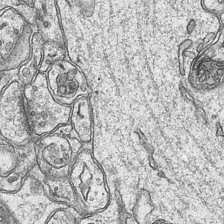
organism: Mouse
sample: CA1 Hippocampus